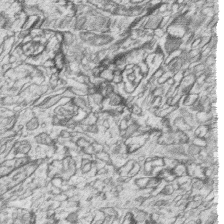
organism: Zebrafish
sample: synaptic ribbons in rod cells and cone cells